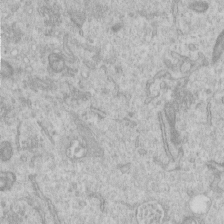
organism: Human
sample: Centriole in RPE cells